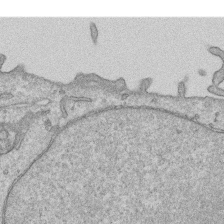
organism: Human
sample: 1205lu cells